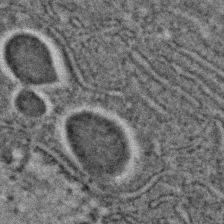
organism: C. elegans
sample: C. elegans embryo